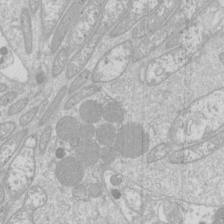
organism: Drosophila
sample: Cell division; meiosis; drosophila spermatocytes